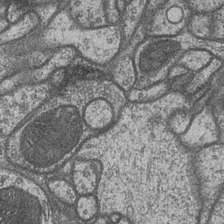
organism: Drosophila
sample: Optic medulla